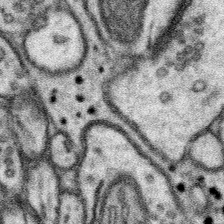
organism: Mouse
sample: Somatosensory cortex neuropil